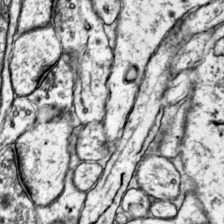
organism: Mouse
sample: Primary visual cortex